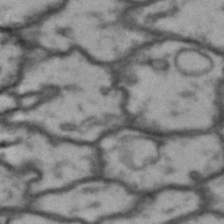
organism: Drosophila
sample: Brain